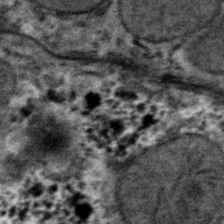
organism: Mouse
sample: Mouse hepatocytes